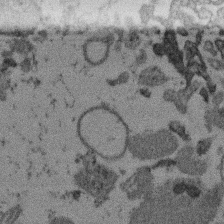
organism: Mouse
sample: Dividing mouse embryo 1 cell stage